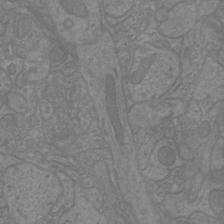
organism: Mouse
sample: Cortical neurons